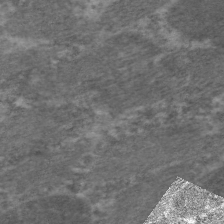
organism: C. elegans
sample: Pharynx